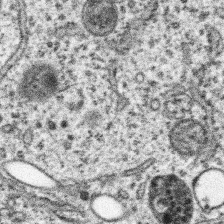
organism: Human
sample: HeLa cells